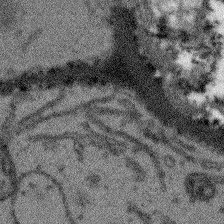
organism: Arabidopsis thaliana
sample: Root tip